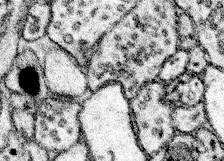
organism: Mouse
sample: Somatosensory cortex neuropil